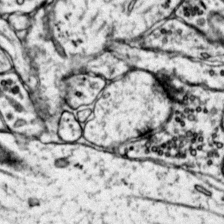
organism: Mouse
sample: Primary visual cortex